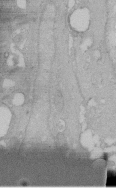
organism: Human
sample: Melanocyte Keratinocyte synapse skin construct